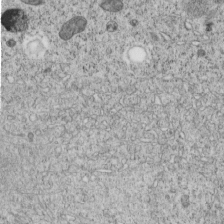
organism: C. elegans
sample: C. elegans embryo early stage